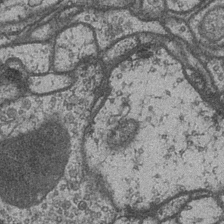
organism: Drosophila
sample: Optic medulla